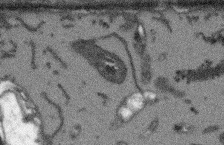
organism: Arabidopsis thaliana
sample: Root tip